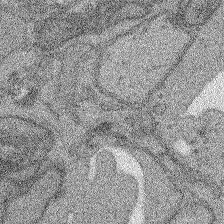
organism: Human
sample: HeLa cells